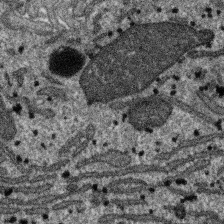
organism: Human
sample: Lung epithelial cells infected with SARS-CoV-2